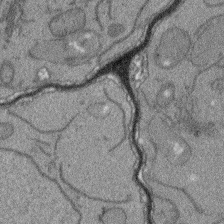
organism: Arabidopsis thaliana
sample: Root tip